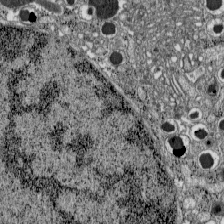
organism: C57BL Mouse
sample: Pancreatic islet